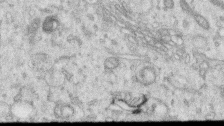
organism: Human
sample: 1205lu cells